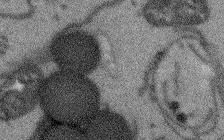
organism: Arabidopsis thaliana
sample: Root tip